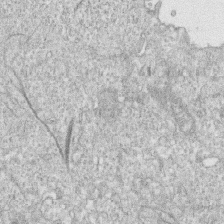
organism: Human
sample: HeLa cell HIV synapse